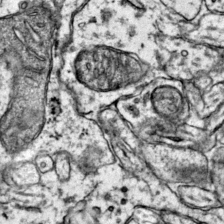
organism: Mouse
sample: Primary visual cortex